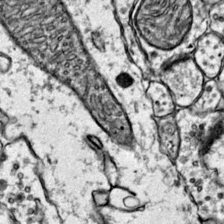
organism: Mouse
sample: Primary visual cortex